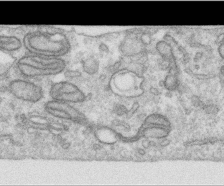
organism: Human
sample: Centriole in RPE cells